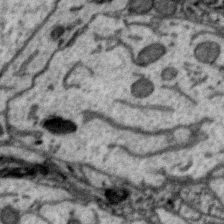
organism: Zebra finch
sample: Brain